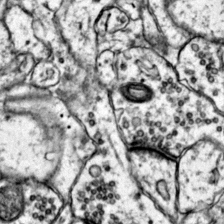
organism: Mouse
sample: Primary visual cortex